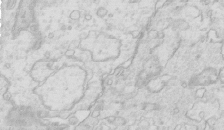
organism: Mouse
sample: Multiciliated cells